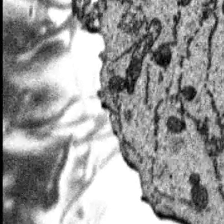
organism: Human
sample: HeLa cells